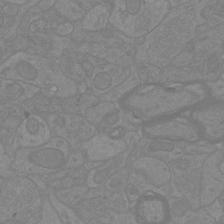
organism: Mouse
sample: Cortical neurons